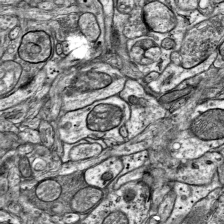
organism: Mouse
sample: Visual Cortex